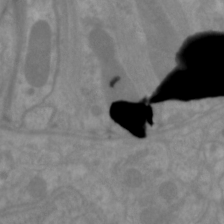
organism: C. elegans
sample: Pharynx